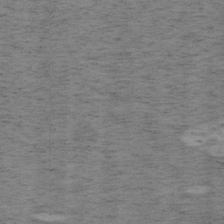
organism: Mouse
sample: OT-I killer T cells with ID8 ovarian cancer cells